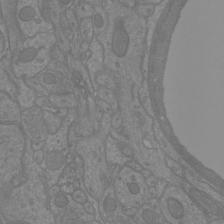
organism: Mouse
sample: Cortical neurons